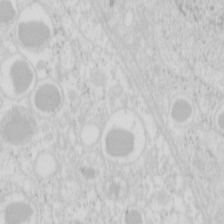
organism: Mouse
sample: Pancreas